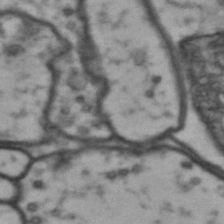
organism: Drosophila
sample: Brain